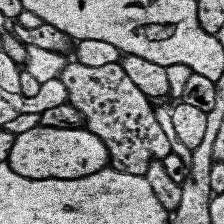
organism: Human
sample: Temporal Lobe